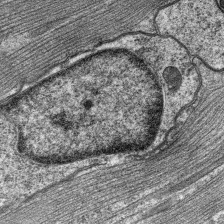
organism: C. elegans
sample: Pharynx